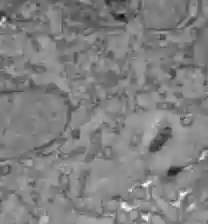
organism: C57BL Mouse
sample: Liver